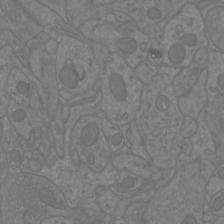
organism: Mouse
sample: Cortical neurons